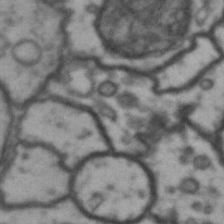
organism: Drosophila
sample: Brain